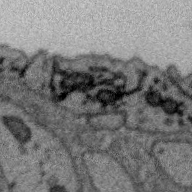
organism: Zebra finch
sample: Brain